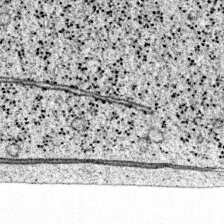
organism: Human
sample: HeLa cells